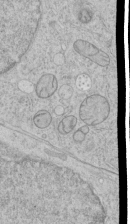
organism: Human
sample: Mitochondria in HCT116 cells